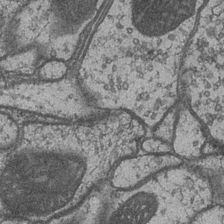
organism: Drosophila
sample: Optic medulla